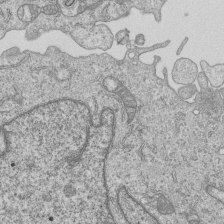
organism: Human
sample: MDA-MB-231 cells